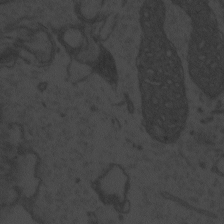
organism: Zebrafish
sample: Macrophage infected with Toxoplasma gondii